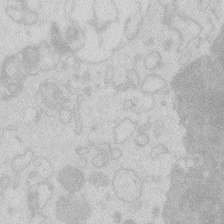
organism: Zebrafish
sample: Macrophage